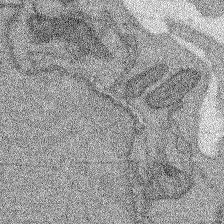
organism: Human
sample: HeLa cells